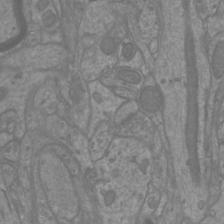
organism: Mouse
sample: Cortical neurons